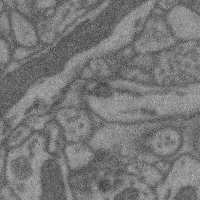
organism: Mouse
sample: Cerebral cortex